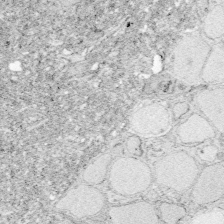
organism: Zebrafish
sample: Whole-Brain